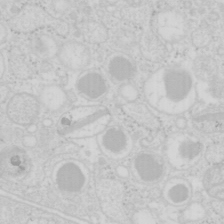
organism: Mouse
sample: Pancreas